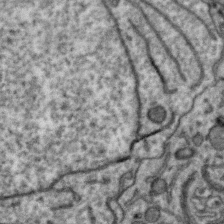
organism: Zebra finch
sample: Brain